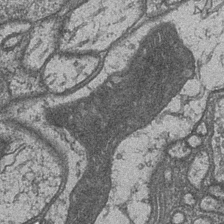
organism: Drosophila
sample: Optic medulla